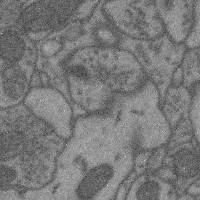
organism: Mouse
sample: Cerebral cortex